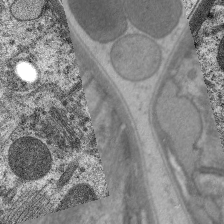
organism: C. elegans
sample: Pharynx